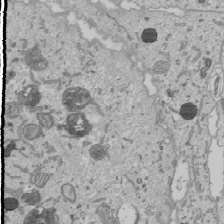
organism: Human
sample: Mitochondria in U2OS cells